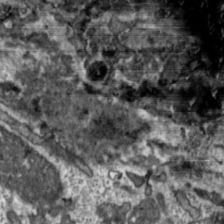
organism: Toxoplasma gondii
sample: Parasites in a vacuole inside a host cell